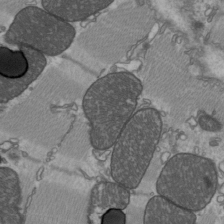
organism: C57BL Mouse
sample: Heart